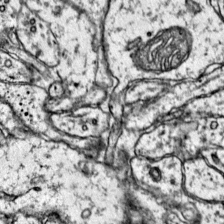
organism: Mouse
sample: Primary visual cortex